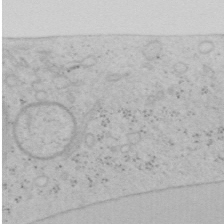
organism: Human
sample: HeLa cells